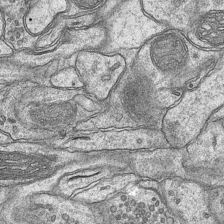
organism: Mouse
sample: CA1 Hippocampus